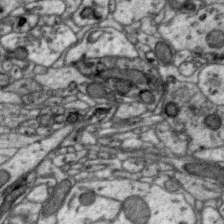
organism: Zebra finch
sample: Brain